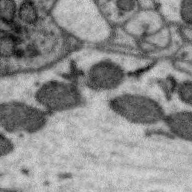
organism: Zebra finch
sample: Brain